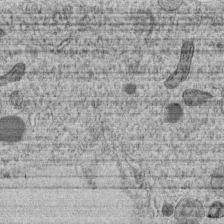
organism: C. elegans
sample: C. elegans embryo early stage